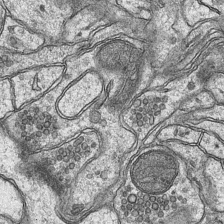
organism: Mouse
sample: CA1 Hippocampus